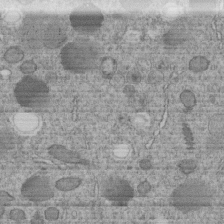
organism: C. elegans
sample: C. elegans embryo early stage